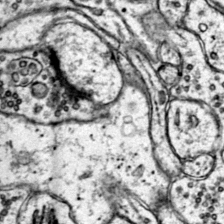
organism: Mouse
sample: Primary visual cortex